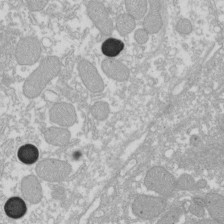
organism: Xenopus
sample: Cilia; centrioles in frog embryo cells